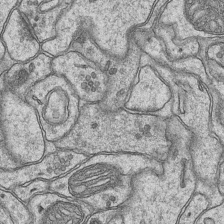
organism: Mouse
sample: CA1 Hippocampus